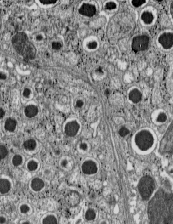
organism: C57BL Mouse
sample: Pancreatic islet